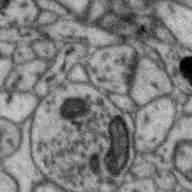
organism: Zebra finch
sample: Brain